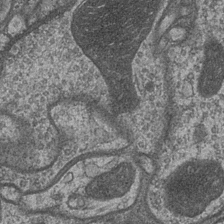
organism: Drosophila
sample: Optic medulla